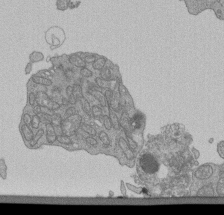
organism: Human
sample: Retinal organoid Rod and Cone cells